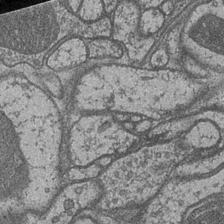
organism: Drosophila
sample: Optic medulla